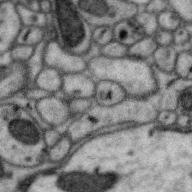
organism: Zebra finch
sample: Brain